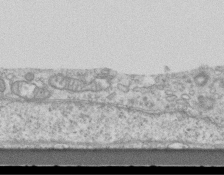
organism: Mouse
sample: Centriole in ependymal cells